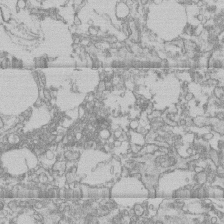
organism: Human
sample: CRL-1474